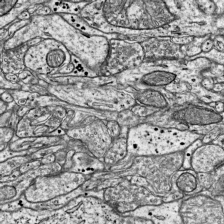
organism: Mouse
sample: Visual Cortex